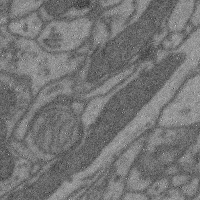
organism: Mouse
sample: Cerebral cortex